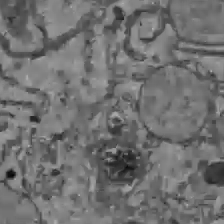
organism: C57BL Mouse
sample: Liver